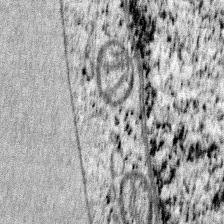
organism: Human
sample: HeLa cells